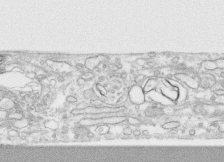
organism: Human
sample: CRL-1474